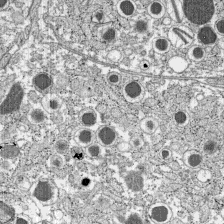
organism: C57BL Mouse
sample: Pancreatic islet